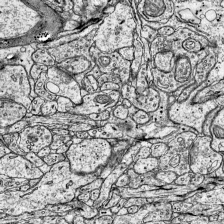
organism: Mouse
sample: Visual Cortex